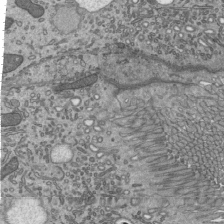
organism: Mouse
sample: Mouse epididymis efferent ductule cilia